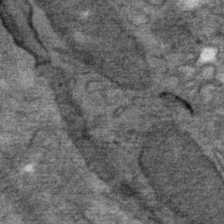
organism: Mouse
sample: Mouse Salivary gland